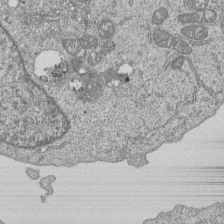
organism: Human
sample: MDA-MB-231 cells